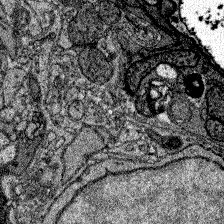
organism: Zebrafish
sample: Larval olfactory bulb